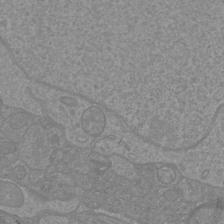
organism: Mouse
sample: Cortical neurons